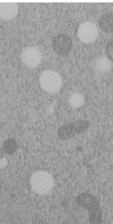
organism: C. elegans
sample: C. elegans embryo early stage